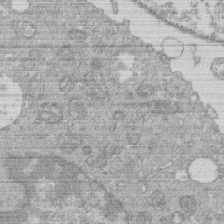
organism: Human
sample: Macrophage cells